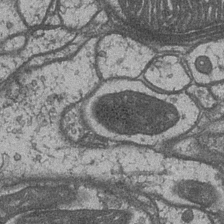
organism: Drosophila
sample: Optic medulla